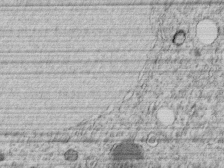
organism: C. elegans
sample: C. elegans embryo early stage